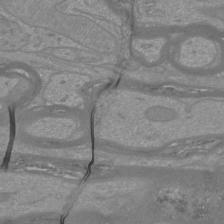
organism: Mouse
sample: Cortical neurons